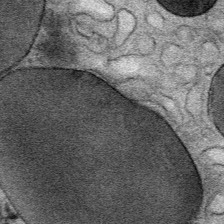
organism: Mouse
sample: Mouse Salivary gland